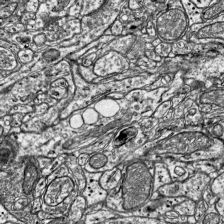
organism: Mouse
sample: Visual Cortex